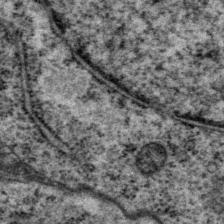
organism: P. pacificus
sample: Pharynx